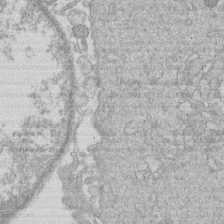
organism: Human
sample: Macrophage cells